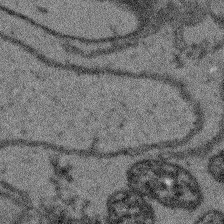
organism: Arabidopsis thaliana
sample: Root tip